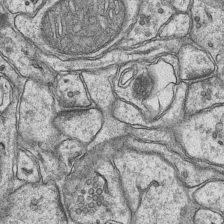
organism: Mouse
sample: CA1 Hippocampus